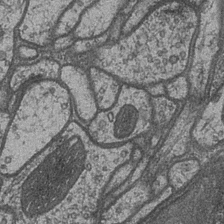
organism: Drosophila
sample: Optic medulla